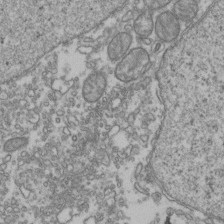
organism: Human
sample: Activated Jurkat CD4+ T cells